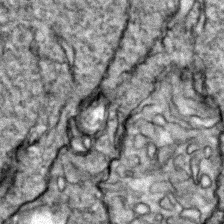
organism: Zebrafish